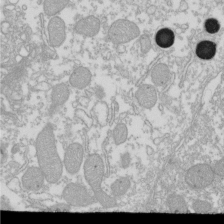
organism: Xenopus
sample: Cilia; centrioles in frog embryo cells